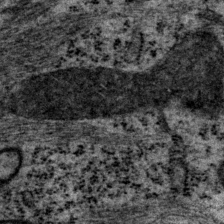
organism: P. pacificus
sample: Pharynx